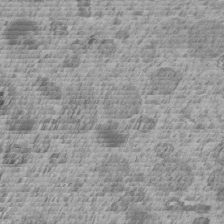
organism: C. elegans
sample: C. elegans embryo early stage